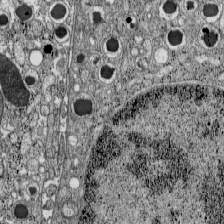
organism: C57BL Mouse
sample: Pancreatic islet